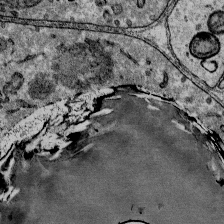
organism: Mouse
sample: Mouse Salivary gland